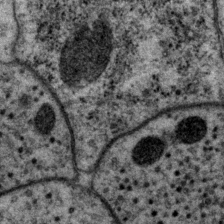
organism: P. pacificus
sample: Pharynx